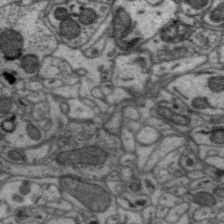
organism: Zebra finch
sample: Brain